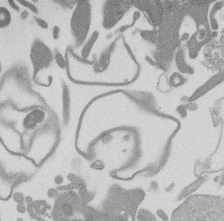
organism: Mouse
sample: Dividing mouse embryo 1 cell stage